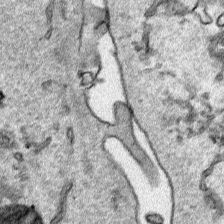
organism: Human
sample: Mitochondria in HCT116 cells